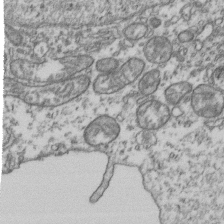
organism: Human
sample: Activated Jurkat CD4+ T cells